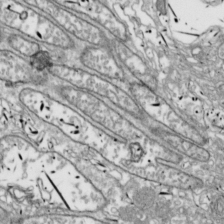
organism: Drosophila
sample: Cell division; meiosis; drosophila spermatocytes